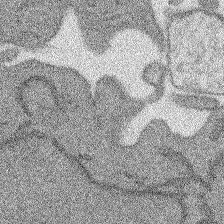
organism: Human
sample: HeLa cells